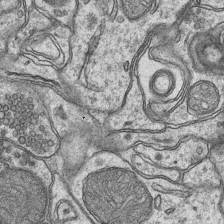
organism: Mouse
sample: CA1 Hippocampus